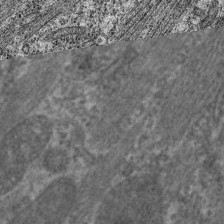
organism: C. elegans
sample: Pharynx